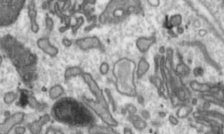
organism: Toxoplasma gondii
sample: Parasites in a vacuole inside a host cell